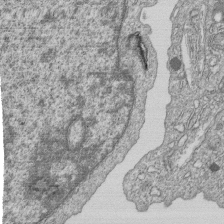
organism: Human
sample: MDA-MB-231 cells